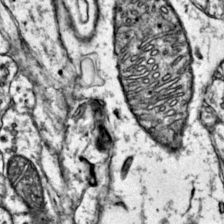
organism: Mouse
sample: Primary visual cortex